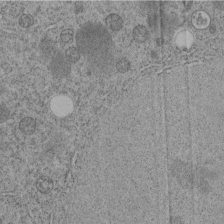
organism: C. elegans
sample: C. elegans embryo early stage